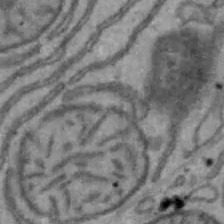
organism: Mouse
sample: Liver